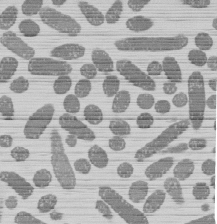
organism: E. coli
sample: Bacterial nucleoid